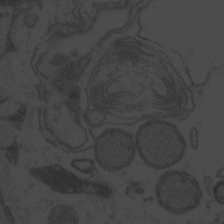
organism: Zebrafish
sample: Macrophage infected with Toxoplasma gondii